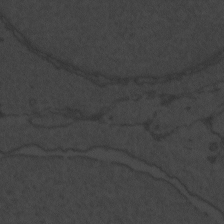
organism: Zebrafish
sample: Macrophage infected with Toxoplasma gondii